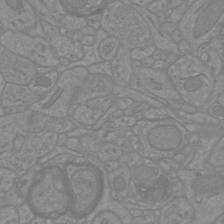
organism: Mouse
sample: Cortical neurons